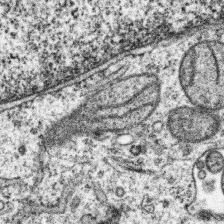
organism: Human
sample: HeLa cells